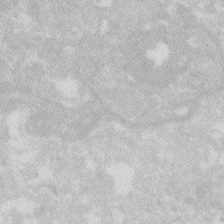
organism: Zebrafish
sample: Macrophage